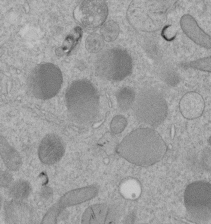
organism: C. elegans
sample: C. elegans embryo early stage